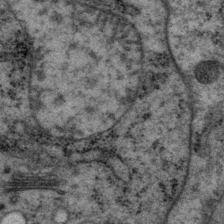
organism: P. pacificus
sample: Pharynx